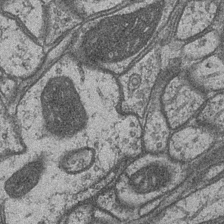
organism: Drosophila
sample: Optic medulla